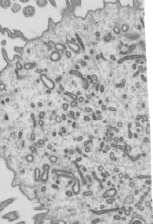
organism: Mouse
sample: Mouse epididymis efferent ductule cilia